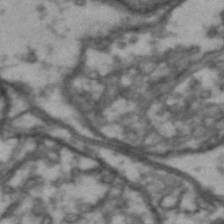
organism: Drosophila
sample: Brain